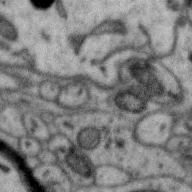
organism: Zebra finch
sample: Brain